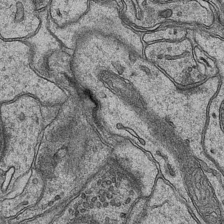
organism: Mouse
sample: CA1 Hippocampus